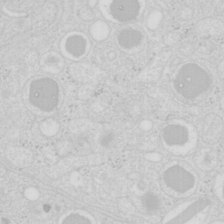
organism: Mouse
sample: Pancreas